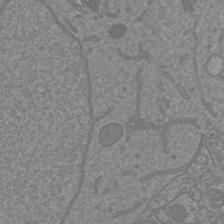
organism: Mouse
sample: Cortical neurons